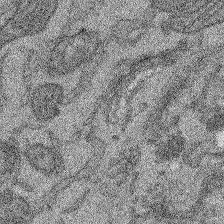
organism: Human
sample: HeLa cells